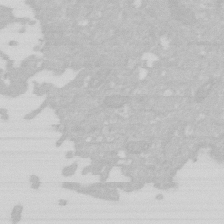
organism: Human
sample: HIV infected U937 cells